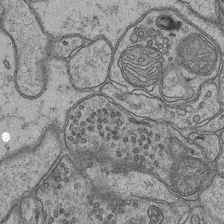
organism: Mouse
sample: CA1 Hippocampus